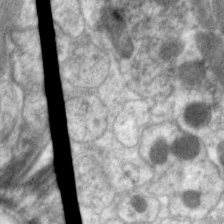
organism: C. elegans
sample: Pharynx